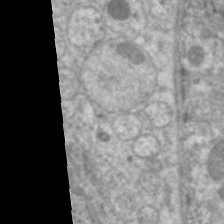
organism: C. elegans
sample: Pharynx